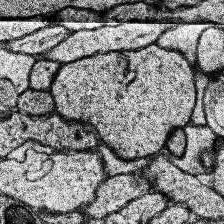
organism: Human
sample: Temporal Lobe